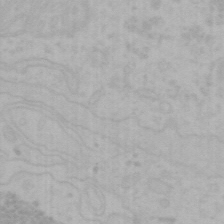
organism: Mouse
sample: Choroid plexus